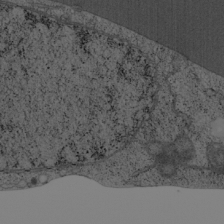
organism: African green monkey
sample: COS-7 cells